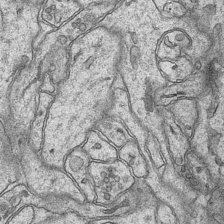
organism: Mouse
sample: CA1 Hippocampus